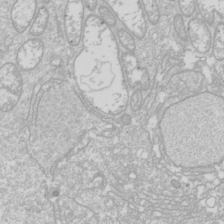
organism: Drosophila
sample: Cell division; meiosis; drosophila spermatocytes